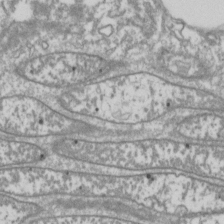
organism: Drosophila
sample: Cell division; meiosis; drosophila spermatocytes